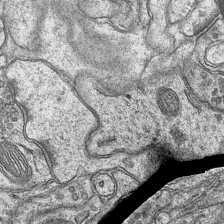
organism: Mouse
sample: CA1 Hippocampus